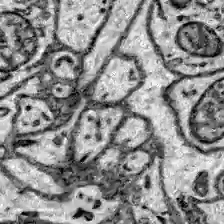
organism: Zebrafish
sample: Brain